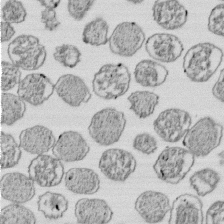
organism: E. coli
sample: Bacterial nucleoid